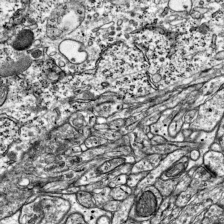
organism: Mouse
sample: Visual Cortex